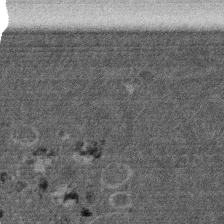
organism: Mouse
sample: Dividing mouse embryo 1 cell stage